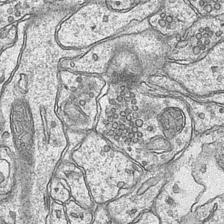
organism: Mouse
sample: CA1 Hippocampus